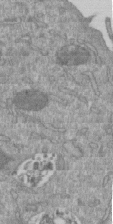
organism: Mouse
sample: ED-1 cell nuclei; centrioles